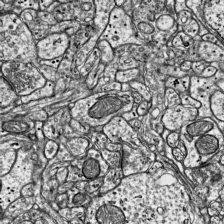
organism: Mouse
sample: Visual Cortex